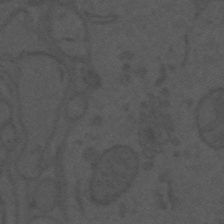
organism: Mouse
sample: Suprachiasmatic nucleus